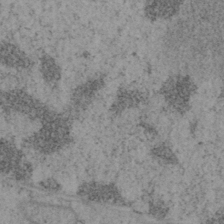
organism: Mouse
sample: OT-I killer T cells with ID8 ovarian cancer cells